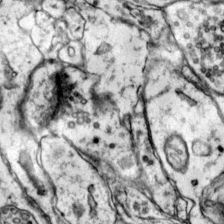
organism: Mouse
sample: Primary visual cortex